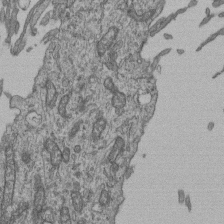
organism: Human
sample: Retinal organoid Rod and Cone cells